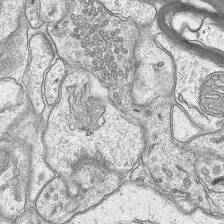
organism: Mouse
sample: CA1 Hippocampus